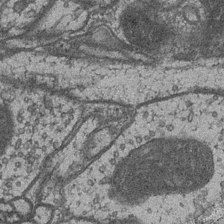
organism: Drosophila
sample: Optic medulla